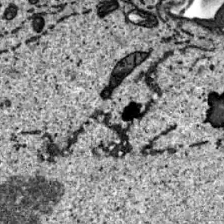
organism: Human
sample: HeLa cells